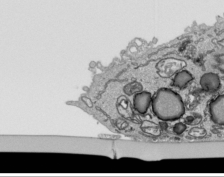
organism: Human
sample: Mitochondria in HCT116 cells